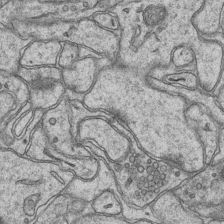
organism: Mouse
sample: CA1 Hippocampus